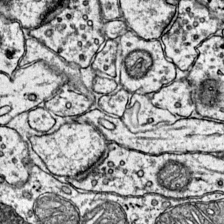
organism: Mouse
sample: Primary visual cortex